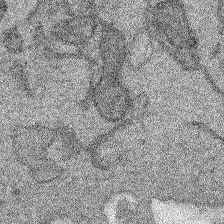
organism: Human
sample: HeLa cells